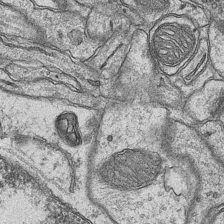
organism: Mouse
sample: CA1 Hippocampus